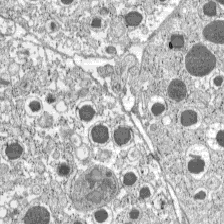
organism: C57BL Mouse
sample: Pancreatic islet